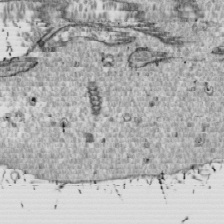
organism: Drosophila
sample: Cell division; meiosis; drosophila spermatocytes